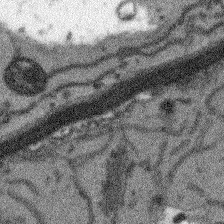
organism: Arabidopsis thaliana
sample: Root tip